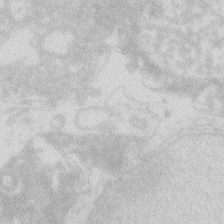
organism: Zebrafish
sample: Macrophage